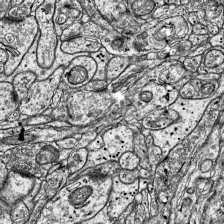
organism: Mouse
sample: Visual Cortex